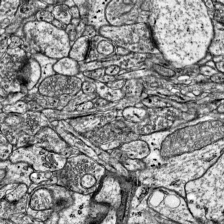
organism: Mouse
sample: Visual Cortex